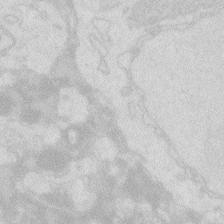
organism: Zebrafish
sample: Macrophage